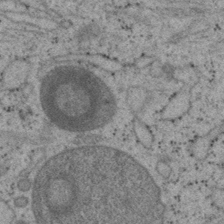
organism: Human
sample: HeLa cells